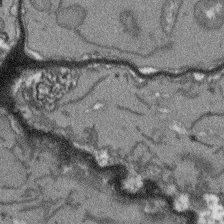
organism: Arabidopsis thaliana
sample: Root tip